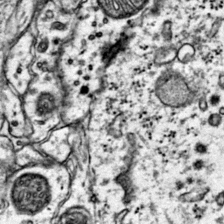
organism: Mouse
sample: Primary visual cortex